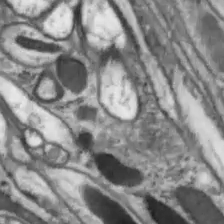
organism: Drosophila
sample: Optic lobe